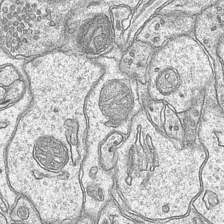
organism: Mouse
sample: CA1 Hippocampus